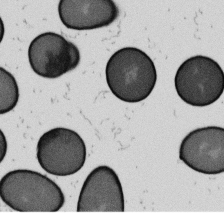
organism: B. subtilis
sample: Bacterial spore